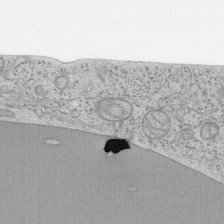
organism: Human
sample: HeLa cells